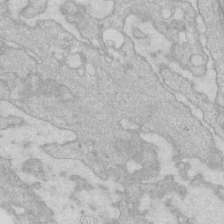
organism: Human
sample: Fibroblast cells